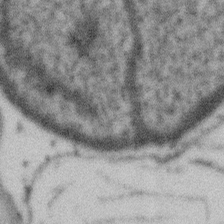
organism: Gemmata obscuriglobus